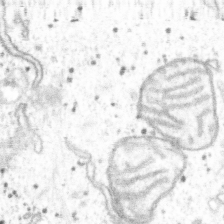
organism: Human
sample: HeLa cells